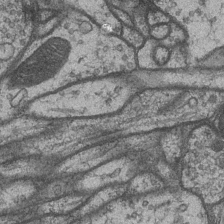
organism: Drosophila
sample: Optic medulla